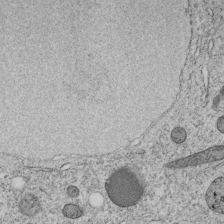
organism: C. elegans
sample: C. elegans embryo early stage